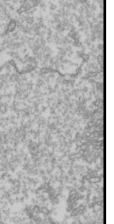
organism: Drosophila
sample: Cell division; meiosis; drosophila spermatocytes